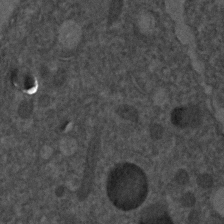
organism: C. elegans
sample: C. elegans embryo